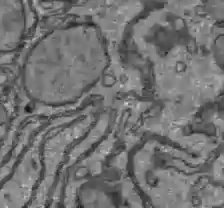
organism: C57BL Mouse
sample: Liver